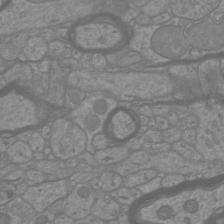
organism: Mouse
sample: Cortical neurons